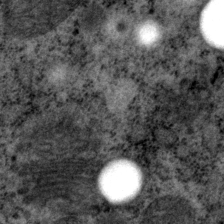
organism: P. pacificus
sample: Pharynx